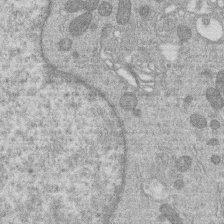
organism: Human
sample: Macrophage cells